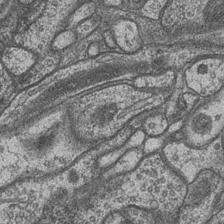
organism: Drosophila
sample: Optic medulla